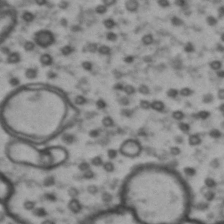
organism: Drosophila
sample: Brain